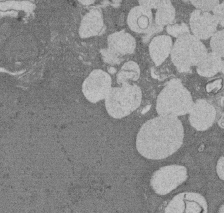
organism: Rat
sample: Salivary granule